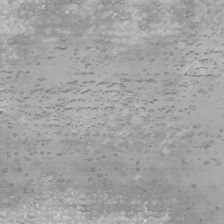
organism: Human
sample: Mitochondria in U2OS cells